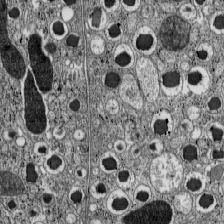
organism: C57BL Mouse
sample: Pancreatic islet